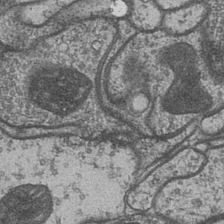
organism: Drosophila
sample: Optic medulla